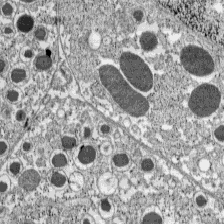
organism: C57BL Mouse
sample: Pancreatic islet